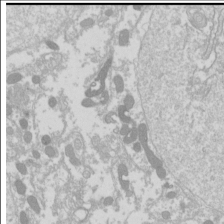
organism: Drosophila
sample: Cell division; meiosis; drosophila spermatocytes